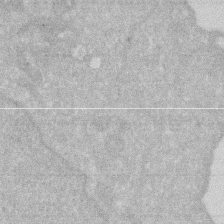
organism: Human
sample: HIV infected U937 cells